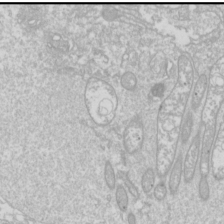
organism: Drosophila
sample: Cell division; meiosis; drosophila spermatocytes